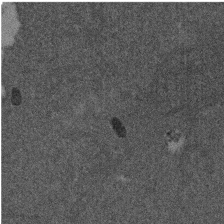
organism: Mouse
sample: Dividing mouse embryo 1 cell stage